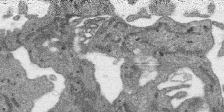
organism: Human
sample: Lung epithelial cells infected with SARS-CoV-2